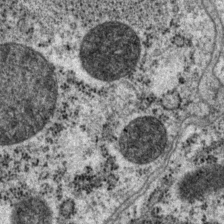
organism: P. pacificus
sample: Pharynx